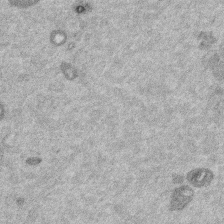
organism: Mouse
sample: Dividing mouse embryo 1 cell stage